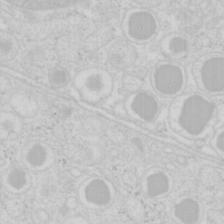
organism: Mouse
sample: Pancreas